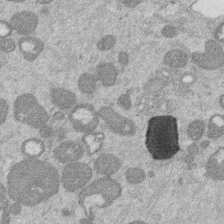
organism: Mouse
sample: Dividing mouse embryo 1 cell stage